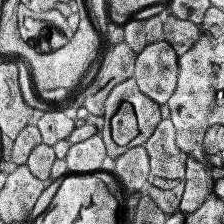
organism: Human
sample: Temporal Lobe